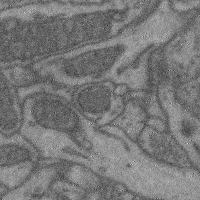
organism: Mouse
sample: Cerebral cortex